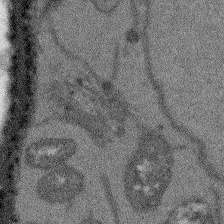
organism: Arabidopsis thaliana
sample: Root tip